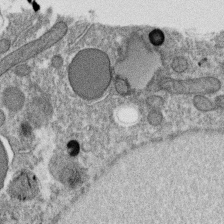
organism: C. elegans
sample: C. elegans oocyte; sperm cells